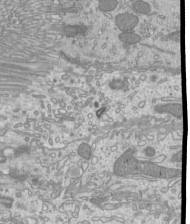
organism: Mouse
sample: Cilia; mouse epididymis